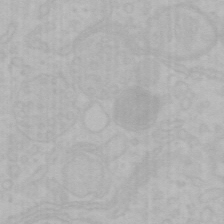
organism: Mouse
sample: Choroid plexus